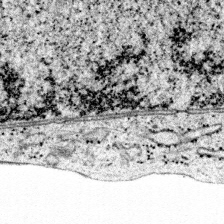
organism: Human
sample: HeLa cells